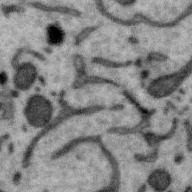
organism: Zebra finch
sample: Brain